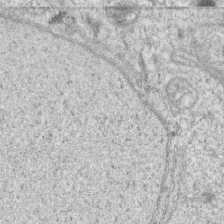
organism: Human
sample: HeLa cell HIV synapse